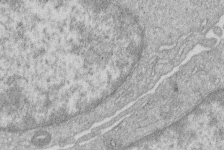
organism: Human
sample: Macrophage cells